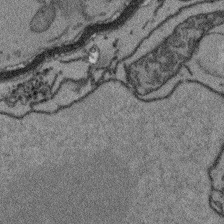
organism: Arabidopsis thaliana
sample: Root tip